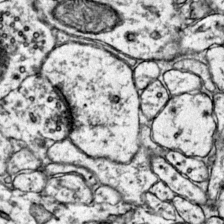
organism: Mouse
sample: Primary visual cortex